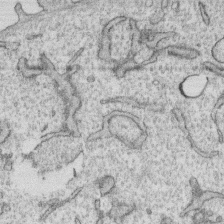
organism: Human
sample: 1205lu cells